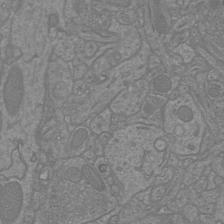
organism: Mouse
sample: Cortical neurons